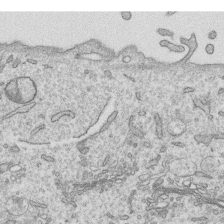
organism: Human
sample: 1205lu cells